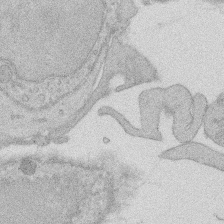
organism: Rat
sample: Salivary granule